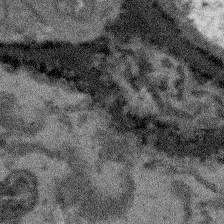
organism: Arabidopsis thaliana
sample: Root tip